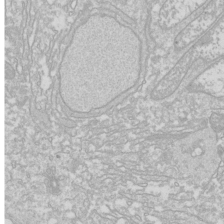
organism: Drosophila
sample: Cell division; meiosis; drosophila spermatocytes